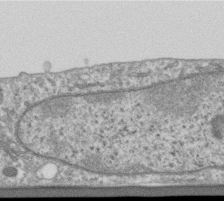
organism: Human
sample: Centriole in RPE cells